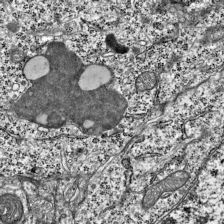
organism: Mouse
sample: Visual Cortex